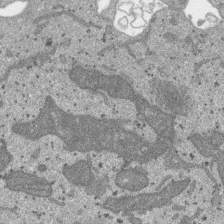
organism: Human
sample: Lung epithelial cells infected with SARS-CoV-2